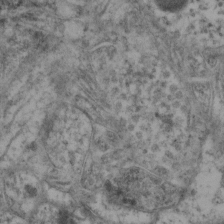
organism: Mouse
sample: Neocortex